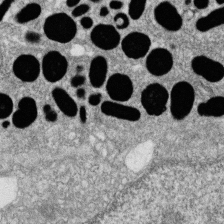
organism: Zebrafish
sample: Cilia; retinal pigment epithelium